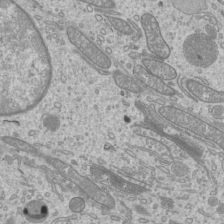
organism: Mouse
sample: Cilia; mouse epididymis